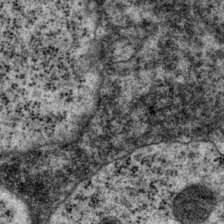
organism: P. pacificus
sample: Pharynx